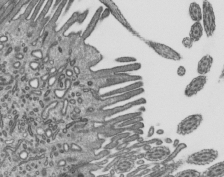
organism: Mouse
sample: Mouse epididymis efferent ductule cilia